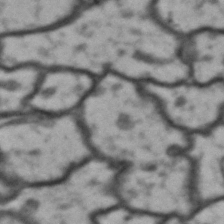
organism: Drosophila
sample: Brain